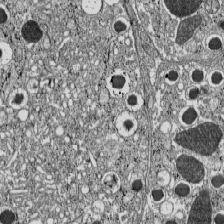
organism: C57BL Mouse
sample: Pancreatic islet